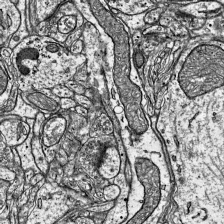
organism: Mouse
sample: Visual Cortex